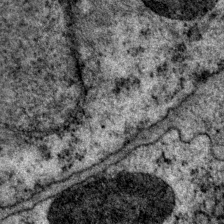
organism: P. pacificus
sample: Pharynx